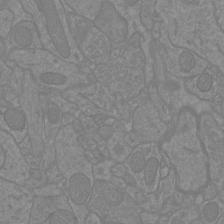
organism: Mouse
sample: Cortical neurons